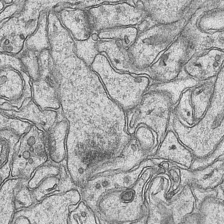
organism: Mouse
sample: CA1 Hippocampus